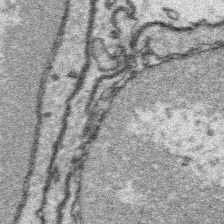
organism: Platynereis dumerilii